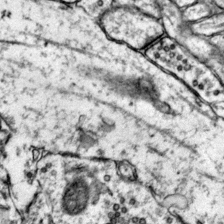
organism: Mouse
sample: Primary visual cortex